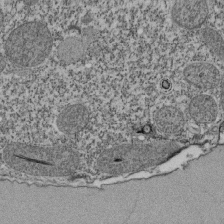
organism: Tetrahymena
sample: Cilia in tetrahymena